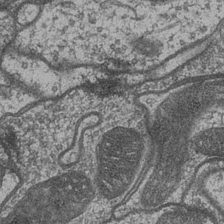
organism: Drosophila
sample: Optic medulla